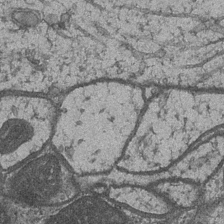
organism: Drosophila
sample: Optic medulla